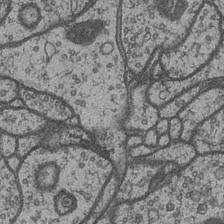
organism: Drosophila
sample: Optic medulla